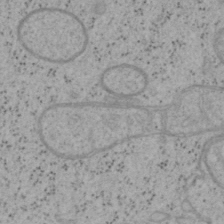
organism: Human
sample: HeLa cells